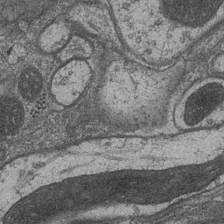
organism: Drosophila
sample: Optic medulla